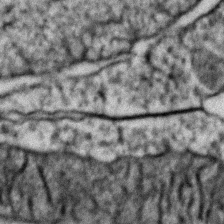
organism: Zebrafish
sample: Zebrafish embryo